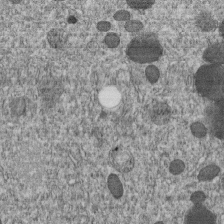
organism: C. elegans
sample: C. elegans embryo early stage